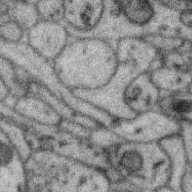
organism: Zebra finch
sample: Brain